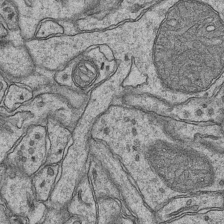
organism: Mouse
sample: CA1 Hippocampus